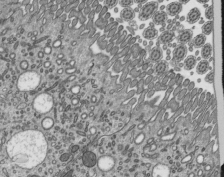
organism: Mouse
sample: Mouse epididymis efferent ductule cilia